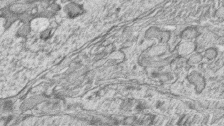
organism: Zebrafish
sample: synaptic ribbons in rod cells and cone cells